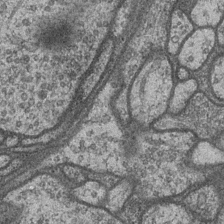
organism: Drosophila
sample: Optic medulla